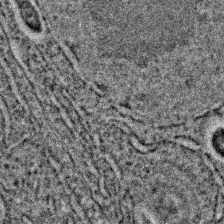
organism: C. elegans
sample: C. elegans embryo